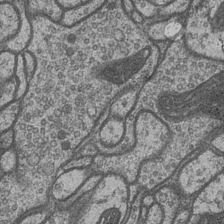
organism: Drosophila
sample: Optic medulla